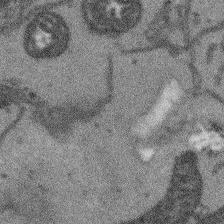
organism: Arabidopsis thaliana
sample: Root tip